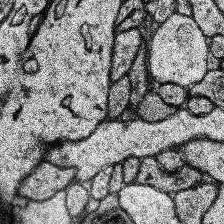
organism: Human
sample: Temporal Lobe